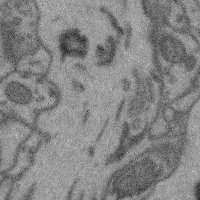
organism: Mouse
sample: Cerebral cortex